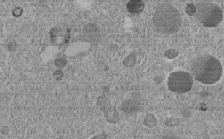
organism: C. elegans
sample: C. elegans embryo early stage